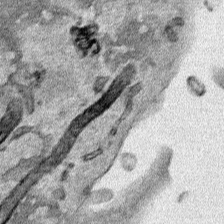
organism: Human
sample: Mitochondria in HCT116 cells